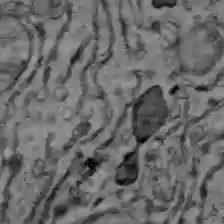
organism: C57BL Mouse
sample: Liver